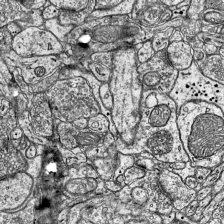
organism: Mouse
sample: Visual Cortex